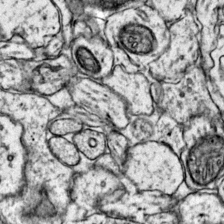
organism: Mouse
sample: Primary visual cortex